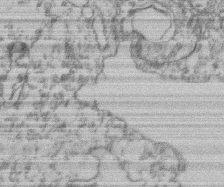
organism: Mouse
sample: T cell stromal cell synapse